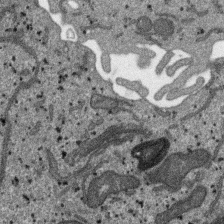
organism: Human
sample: Lung epithelial cells infected with SARS-CoV-2